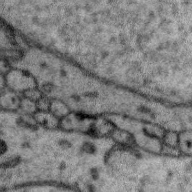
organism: Zebra finch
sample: Brain